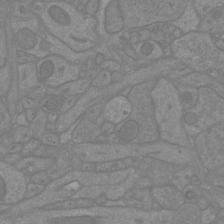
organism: Mouse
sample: Cortical neurons